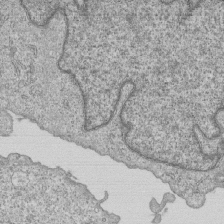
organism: Human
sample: MDA-MB-231 cells